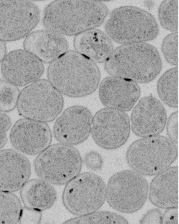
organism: E. coli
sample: Bacterial nucleoid